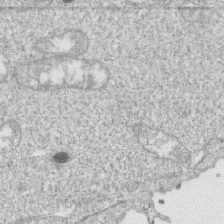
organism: Human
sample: HeLa cell HIV synapse